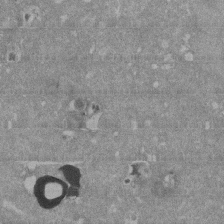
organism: Mouse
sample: ED-1 cell nuclei; centrioles